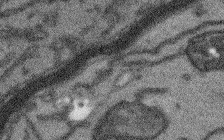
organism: Arabidopsis thaliana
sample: Root tip